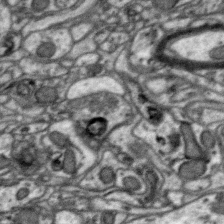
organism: Zebra finch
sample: Brain